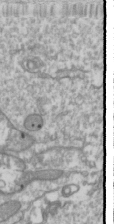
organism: Drosophila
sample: Cell division; meiosis; drosophila spermatocytes